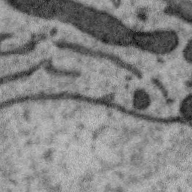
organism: Zebra finch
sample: Brain